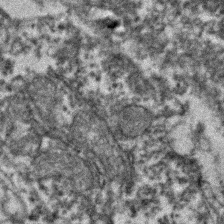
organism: Zebrafish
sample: Zebrafish embryo